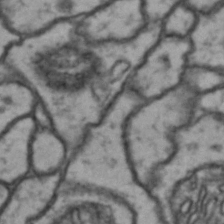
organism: Drosophila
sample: Brain